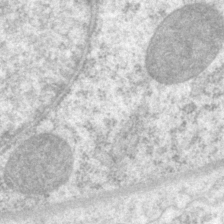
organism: P. pacificus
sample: Pharynx